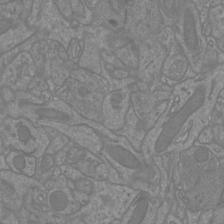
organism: Mouse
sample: Cortical neurons